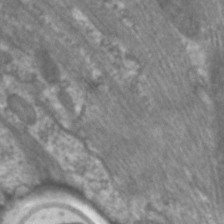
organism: C. elegans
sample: Pharynx